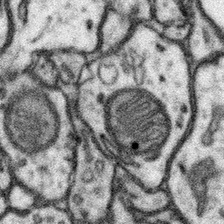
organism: Mouse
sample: Somatosensory cortex neuropil